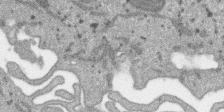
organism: Human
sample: Lung epithelial cells infected with SARS-CoV-2